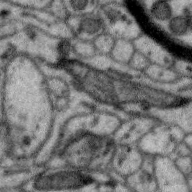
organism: Zebra finch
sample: Brain